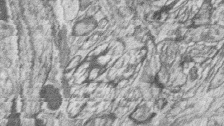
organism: Zebrafish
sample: synaptic ribbons in rod cells and cone cells